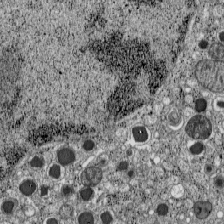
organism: C57BL Mouse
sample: Pancreatic islet